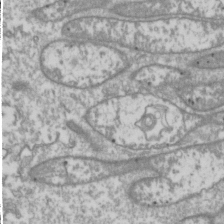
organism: Drosophila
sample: Cell division; meiosis; drosophila spermatocytes